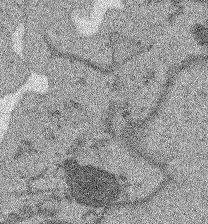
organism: Human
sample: HeLa cells